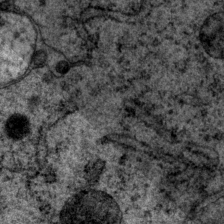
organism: P. pacificus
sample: Pharynx